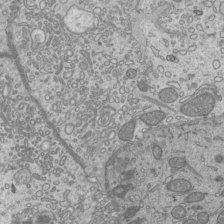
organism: Mouse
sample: Cilia; mouse epididymis